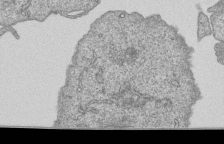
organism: Human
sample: MDA-MB-231 cells